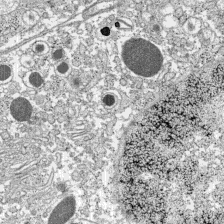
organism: C57BL Mouse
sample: Pancreatic islet